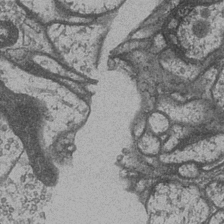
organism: Drosophila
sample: Optic medulla